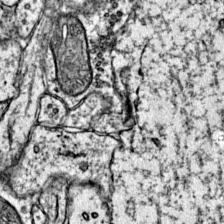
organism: Mouse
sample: Primary visual cortex